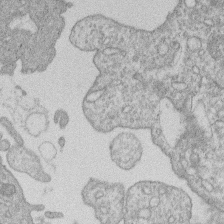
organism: Human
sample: Macrophage cells